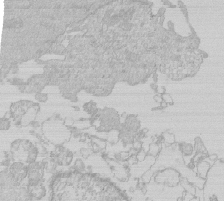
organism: Human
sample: Macrophage cells